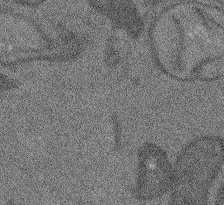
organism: Arabidopsis thaliana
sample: Root tip